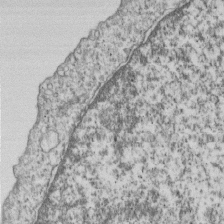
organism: Human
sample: MDA-MB-231 cells